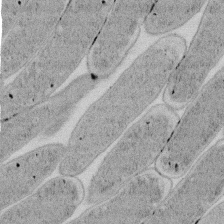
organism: E. coli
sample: Bacterial nucleoid